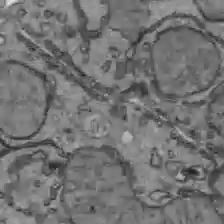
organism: C57BL Mouse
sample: Liver